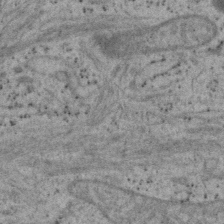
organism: Human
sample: HeLa cells